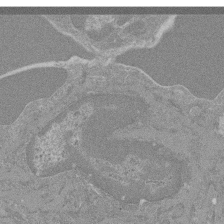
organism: Mouse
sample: Glomerulus